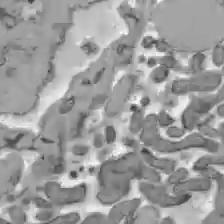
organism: C57BL Mouse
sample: Liver